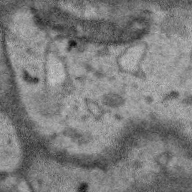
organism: Zebra finch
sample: Brain